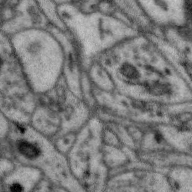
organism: Zebra finch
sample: Brain